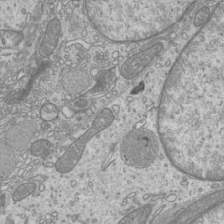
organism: Mouse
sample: Cilia; mouse epididymis